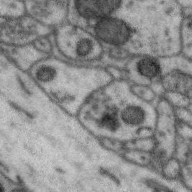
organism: Zebra finch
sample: Brain